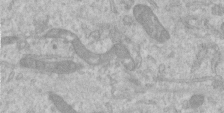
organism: Human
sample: Centriole in RPE cells